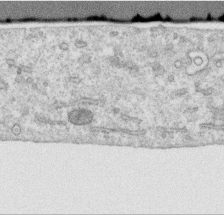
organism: Human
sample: Centriole in RPE cells